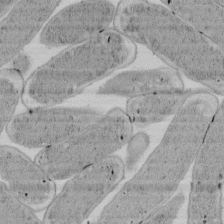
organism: E. coli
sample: Bacterial nucleoid